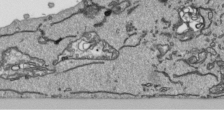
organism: Human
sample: Mitochondria in HCT116 cells